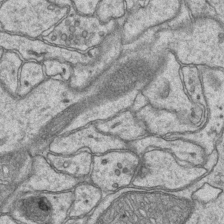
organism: Mouse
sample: CA1 Hippocampus